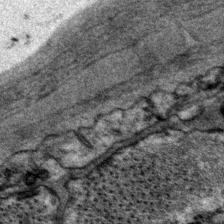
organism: P. pacificus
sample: Pharynx